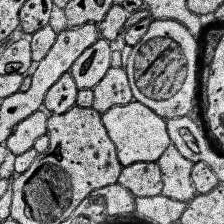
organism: Human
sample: Temporal Lobe